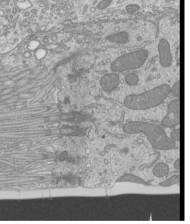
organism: Mouse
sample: Cilia; mouse epididymis